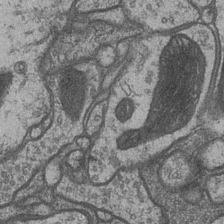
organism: Drosophila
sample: Optic medulla